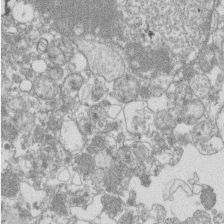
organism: Human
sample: HeLa cell HIV synapse